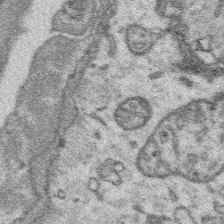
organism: Platynereis dumerilii